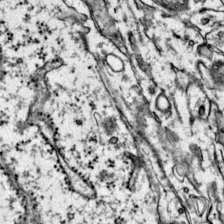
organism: Mouse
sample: Primary visual cortex